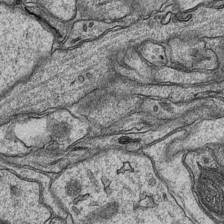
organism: Mouse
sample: CA1 Hippocampus